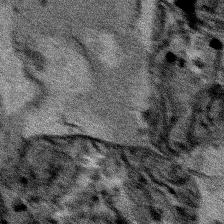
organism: Human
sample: Mitochondria in HCT116 cells